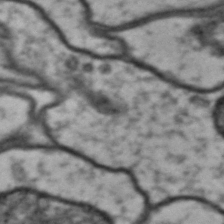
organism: Drosophila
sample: Brain